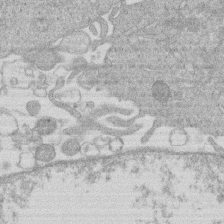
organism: Human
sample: Macrophage cells